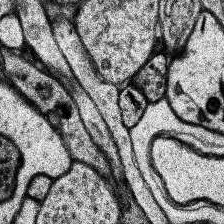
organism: Human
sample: Temporal Lobe